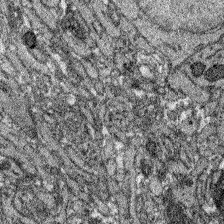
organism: Zebrafish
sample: Larval olfactory bulb